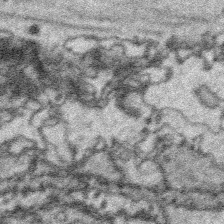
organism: Platynereis dumerilii